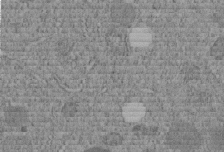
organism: C. elegans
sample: C. elegans embryo early stage